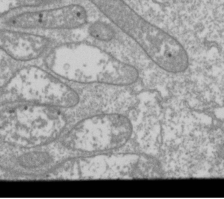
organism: Drosophila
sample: Cell division; meiosis; drosophila spermatocytes